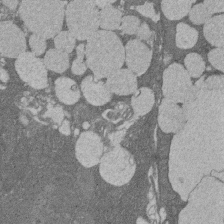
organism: Rat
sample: Salivary granule